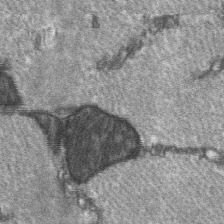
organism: C57BL Mouse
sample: Soleus